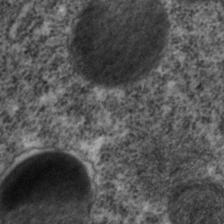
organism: C. elegans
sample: C. elegans embryo